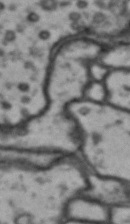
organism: Drosophila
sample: Brain